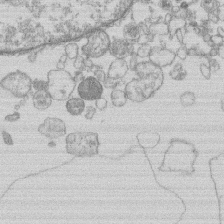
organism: Human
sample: Macrophage cells